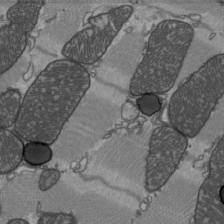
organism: C57BL Mouse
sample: Heart